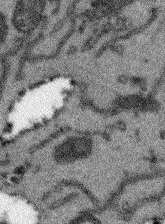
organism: Arabidopsis thaliana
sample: Root tip